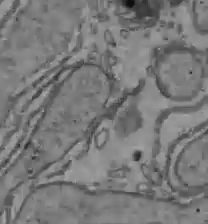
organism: C57BL Mouse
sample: Liver